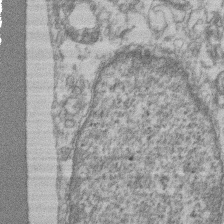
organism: Mouse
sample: T cell stromal cell synapse